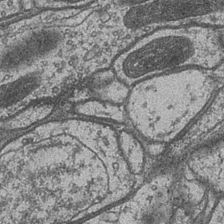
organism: Drosophila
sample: Optic medulla